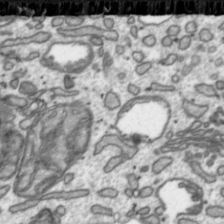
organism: Toxoplasma gondii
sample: Parasites in a vacuole inside a host cell